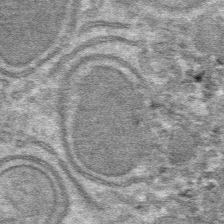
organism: Mouse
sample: Mouse hepatocytes